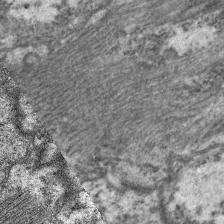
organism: C. elegans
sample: Pharynx